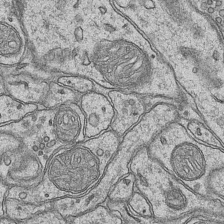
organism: Mouse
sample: CA1 Hippocampus